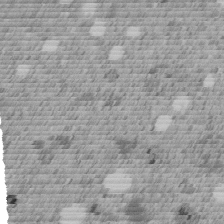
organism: C. elegans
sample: C. elegans embryo early stage